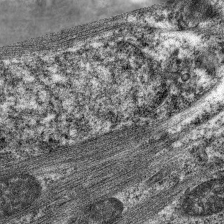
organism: C. elegans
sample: Pharynx